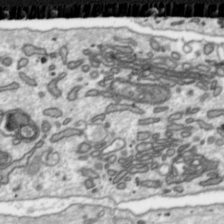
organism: Toxoplasma gondii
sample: Parasites in a vacuole inside a host cell